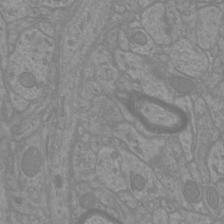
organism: Mouse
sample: Cortical neurons